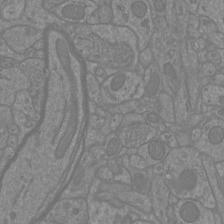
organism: Mouse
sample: Cortical neurons